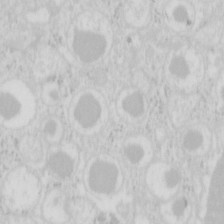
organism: Mouse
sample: Pancreas